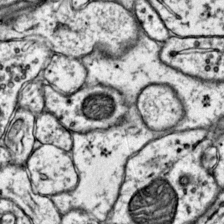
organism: Mouse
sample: Primary visual cortex